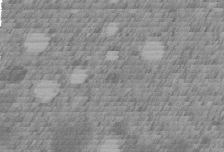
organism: C. elegans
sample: C. elegans embryo early stage